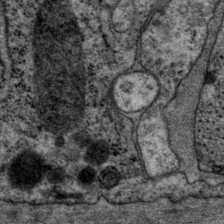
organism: P. pacificus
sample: Pharynx